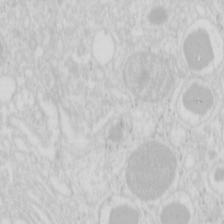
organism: Mouse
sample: Pancreas